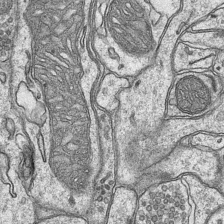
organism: Mouse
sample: CA1 Hippocampus